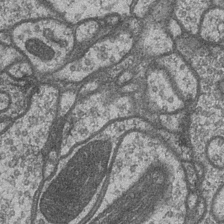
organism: Drosophila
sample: Optic medulla